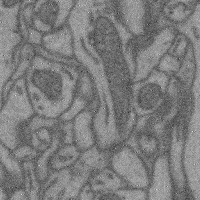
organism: Mouse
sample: Cerebral cortex